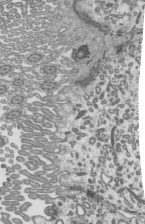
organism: Mouse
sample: Mouse epididymis efferent ductule cilia